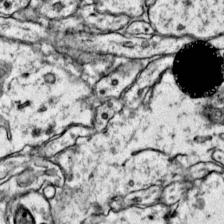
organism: Mouse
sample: Primary visual cortex